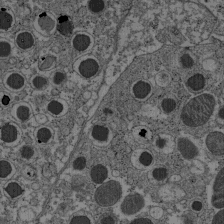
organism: C57BL Mouse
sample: Pancreatic islet